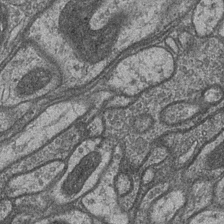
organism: Drosophila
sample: Optic medulla